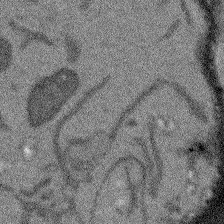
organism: Arabidopsis thaliana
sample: Root tip